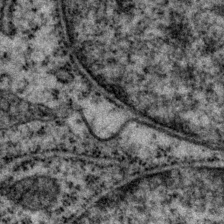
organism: P. pacificus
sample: Pharynx